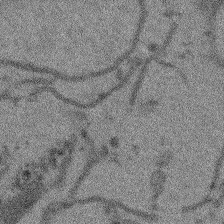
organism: Arabidopsis thaliana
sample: Root tip